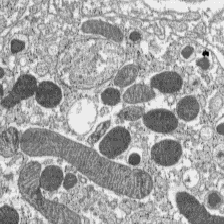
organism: C57BL Mouse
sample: Pancreatic islet